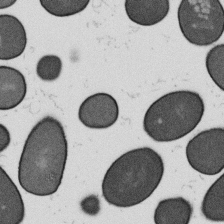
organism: B. subtilis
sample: Bacterial spore